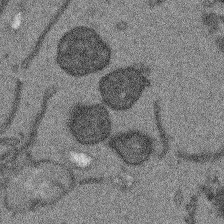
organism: Arabidopsis thaliana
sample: Root tip